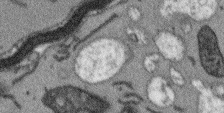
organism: Arabidopsis thaliana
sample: Root tip